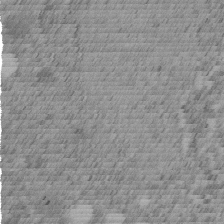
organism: C. elegans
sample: C. elegans embryo early stage